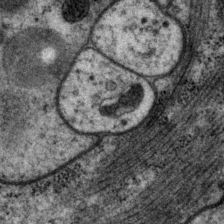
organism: P. pacificus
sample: Pharynx